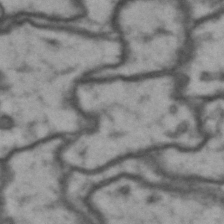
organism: Drosophila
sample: Brain